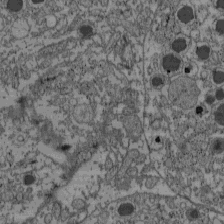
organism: C57BL Mouse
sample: Pancreatic islet